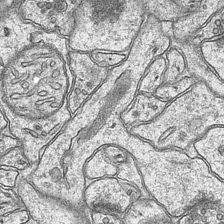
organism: Mouse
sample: CA1 Hippocampus